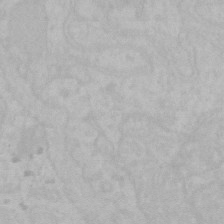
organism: Mouse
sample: Choroid plexus